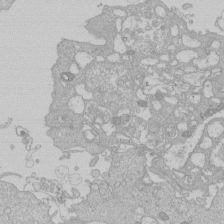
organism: Human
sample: Macrophage cells